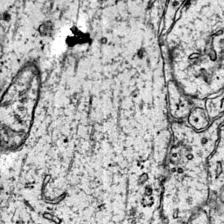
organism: Mouse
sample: Primary visual cortex